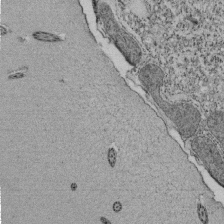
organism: Tetrahymena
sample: Cilia in tetrahymena